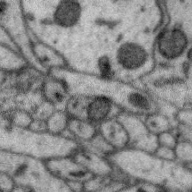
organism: Zebra finch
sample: Brain